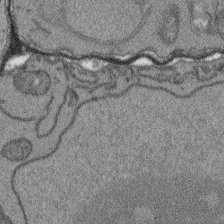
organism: Arabidopsis thaliana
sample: Root tip